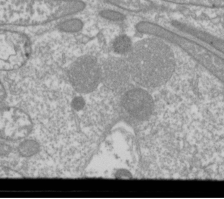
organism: Drosophila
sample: Cell division; meiosis; drosophila spermatocytes